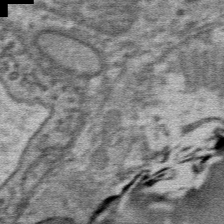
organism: Mouse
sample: Mouse Salivary gland